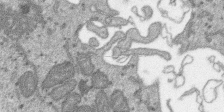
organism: Human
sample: Lung epithelial cells infected with SARS-CoV-2